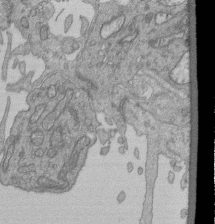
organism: Human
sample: Retinal organoid Rod and Cone cells